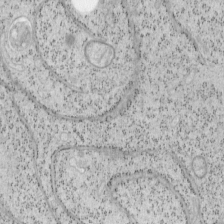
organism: Mouse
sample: OT-I killer T cells with ID8 ovarian cancer cells